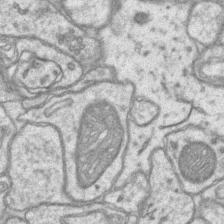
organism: Mouse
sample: CA1 Hippocampus